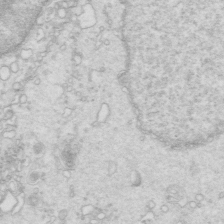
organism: Mouse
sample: Multiciliated cells